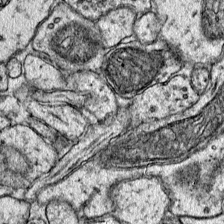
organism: Mouse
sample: Primary visual cortex